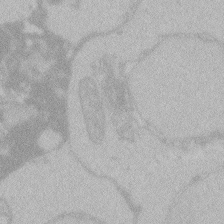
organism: Zebrafish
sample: Macrophage infected with Toxoplasma gondii